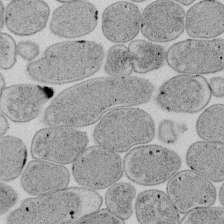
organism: E. coli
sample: Bacterial nucleoid